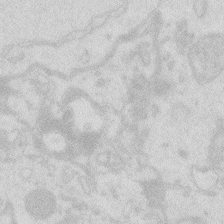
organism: Zebrafish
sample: Macrophage